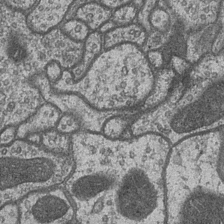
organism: Drosophila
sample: Optic medulla